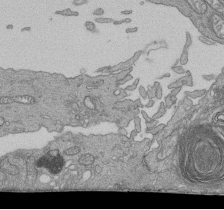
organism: Human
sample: Retinal organoid Rod and Cone cells